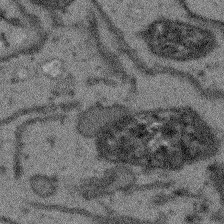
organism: Arabidopsis thaliana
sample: Root tip